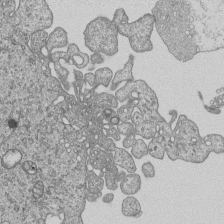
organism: Human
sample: MDA-MB-231 cells